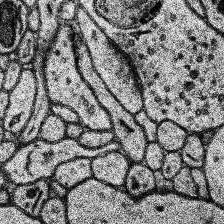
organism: Human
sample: Temporal Lobe